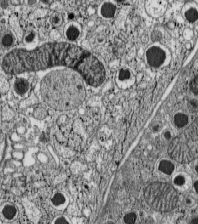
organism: C57BL Mouse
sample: Pancreatic islet